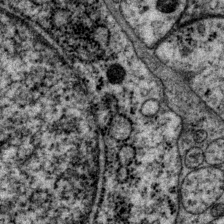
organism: P. pacificus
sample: Pharynx